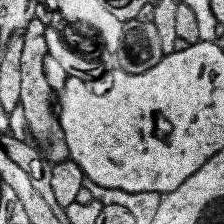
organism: Human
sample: Temporal Lobe